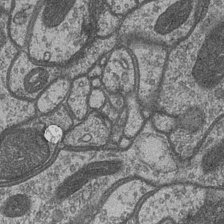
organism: Drosophila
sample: Optic medulla